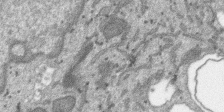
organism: Human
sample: Lung epithelial cells infected with SARS-CoV-2